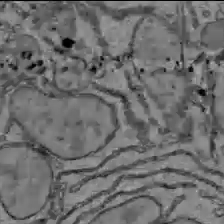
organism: C57BL Mouse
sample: Liver